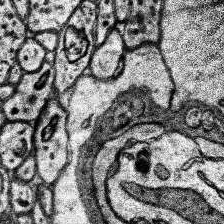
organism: Human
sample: Temporal Lobe